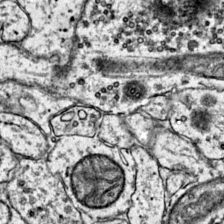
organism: Mouse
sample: Primary visual cortex